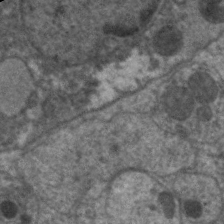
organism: C. elegans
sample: Pharynx